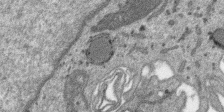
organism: Human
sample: Lung epithelial cells infected with SARS-CoV-2